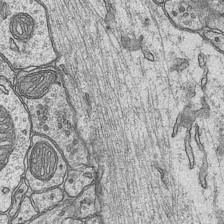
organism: Mouse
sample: CA1 Hippocampus